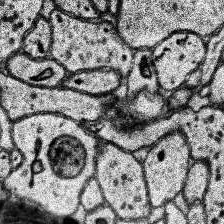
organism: Human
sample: Temporal Lobe